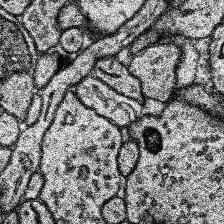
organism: Human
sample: Temporal Lobe